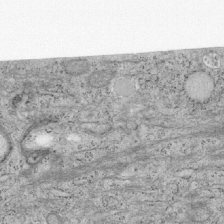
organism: Human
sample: HeLa cells